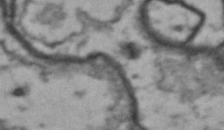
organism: Drosophila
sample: Brain